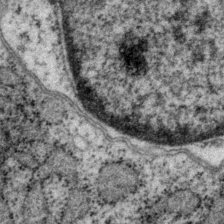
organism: P. pacificus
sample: Pharynx